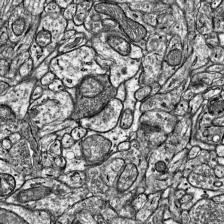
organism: Mouse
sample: Visual Cortex